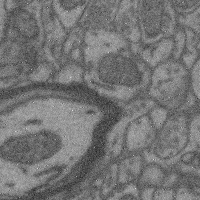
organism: Mouse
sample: Cerebral cortex